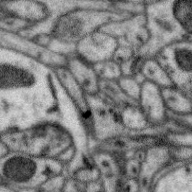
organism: Zebra finch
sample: Brain